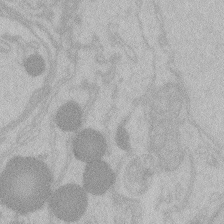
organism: Zebrafish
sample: Macrophage infected with Toxoplasma gondii